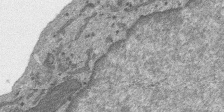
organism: Human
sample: Lung epithelial cells infected with SARS-CoV-2